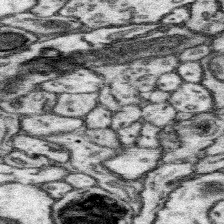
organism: Mouse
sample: Somatosensory cortex neuropil